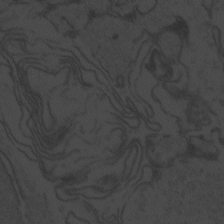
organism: Zebrafish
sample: Macrophage infected with Toxoplasma gondii